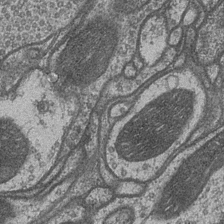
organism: Drosophila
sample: Optic medulla